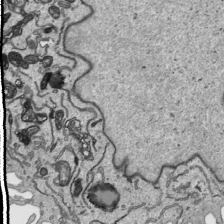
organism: Human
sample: Mitochondria in HCT116 cells